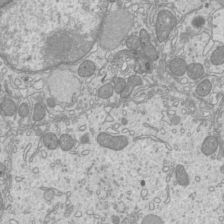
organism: Mouse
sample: Cilia; mouse epididymis